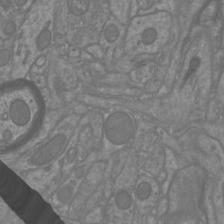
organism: Mouse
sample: Cortical neurons